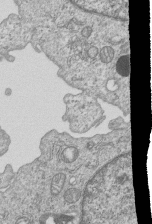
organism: Human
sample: MDA-MB-231 cells